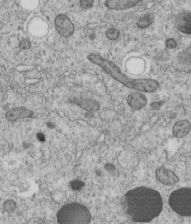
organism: C. elegans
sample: C. elegans embryo early stage